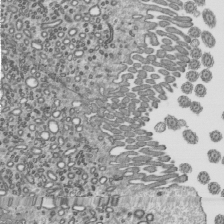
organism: Mouse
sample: Mouse epididymis efferent ductule cilia